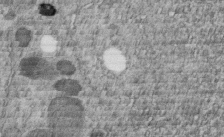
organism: C. elegans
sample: C. elegans embryo early stage